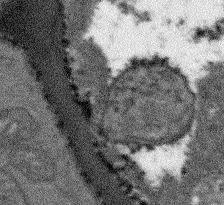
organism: Arabidopsis thaliana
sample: Root tip